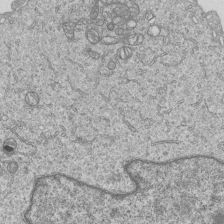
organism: Human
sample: MDA-MB-231 cells